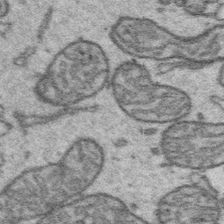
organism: Platynereis dumerilii